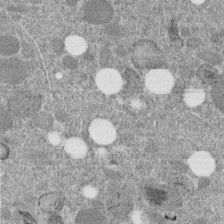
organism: C. elegans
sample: C. elegans embryo early stage